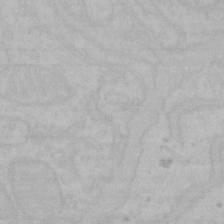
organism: Mouse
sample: Choroid plexus